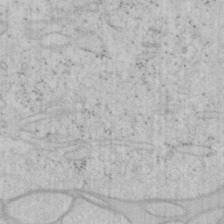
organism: Human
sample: HeLa cells